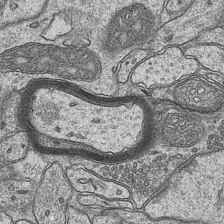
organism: Mouse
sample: CA1 Hippocampus